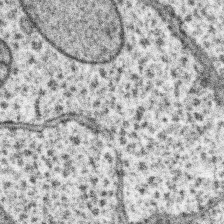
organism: Human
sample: HeLa cells